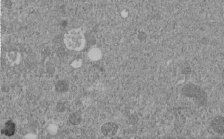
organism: C. elegans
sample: C. elegans embryo early stage